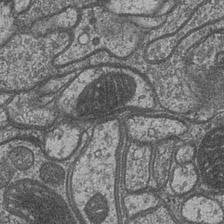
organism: Drosophila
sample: Optic medulla